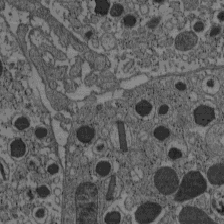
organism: C57BL Mouse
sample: Pancreatic islet